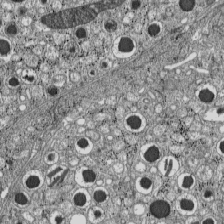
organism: C57BL Mouse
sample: Pancreatic islet